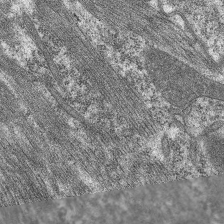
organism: C. elegans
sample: Pharynx